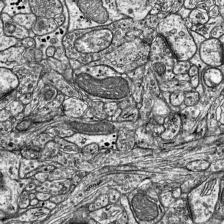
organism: Mouse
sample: Visual Cortex